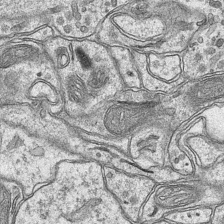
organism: Mouse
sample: CA1 Hippocampus